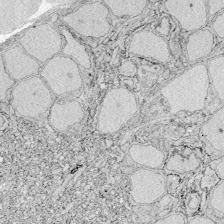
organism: Zebrafish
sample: Whole-Brain